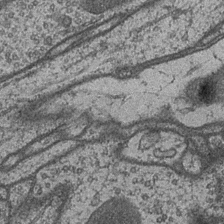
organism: Drosophila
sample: Optic medulla